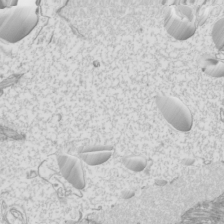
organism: Mouse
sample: Cilia; mouse epididymis